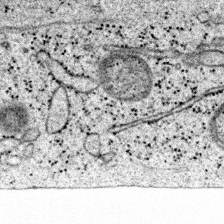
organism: Human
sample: HeLa cells